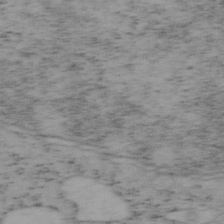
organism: Mouse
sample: OT-I killer T cells with ID8 ovarian cancer cells